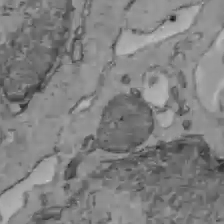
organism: C57BL Mouse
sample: Liver